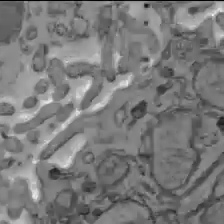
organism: C57BL Mouse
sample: Liver